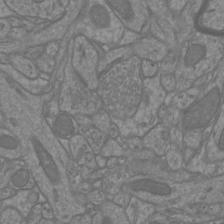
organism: Mouse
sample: Cortical neurons